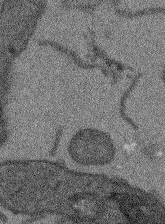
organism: Arabidopsis thaliana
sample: Root tip